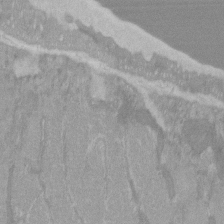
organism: C57BL Mouse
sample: Tibialis anterior muscle cell